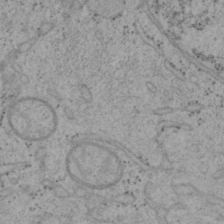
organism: Human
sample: HeLa cells